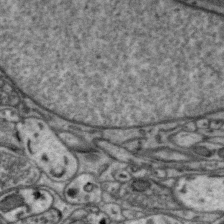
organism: Zebra finch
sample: Brain